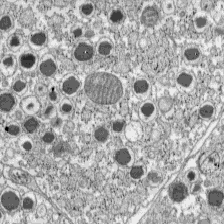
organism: C57BL Mouse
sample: Pancreatic islet